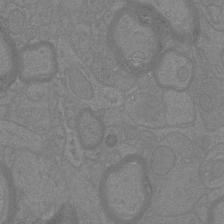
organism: Mouse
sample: Cortical neurons